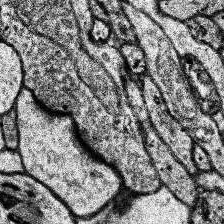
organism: Human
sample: Temporal Lobe